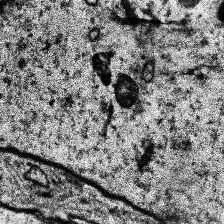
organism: Human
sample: Temporal Lobe